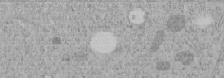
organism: C. elegans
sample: C. elegans embryo early stage